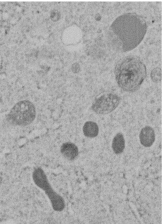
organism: C. elegans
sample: C. elegans embryo early stage